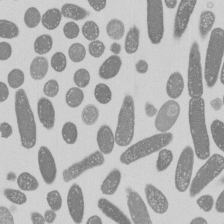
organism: E. coli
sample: Bacterial nucleoid